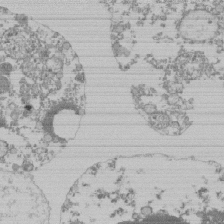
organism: Mouse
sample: Activated Pmel transgenic CD8+ T Cells